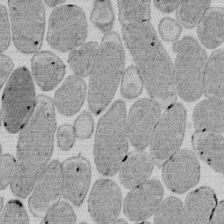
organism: E. coli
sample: Bacterial nucleoid